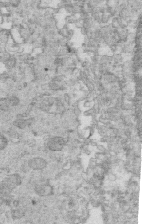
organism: Mouse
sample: Multiciliated cells